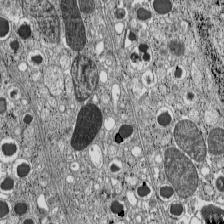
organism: C57BL Mouse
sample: Pancreatic islet